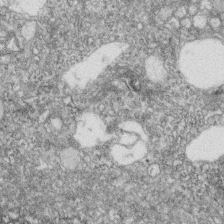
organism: Zebrafish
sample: Cilia; retinal pigment epithelium